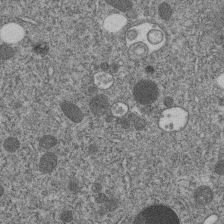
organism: C. elegans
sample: C. elegans embryo early stage